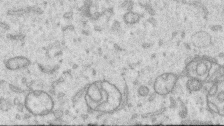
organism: Human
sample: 1205lu cells